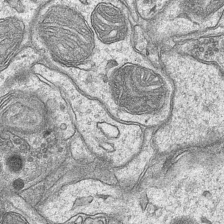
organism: Mouse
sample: CA1 Hippocampus